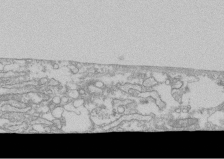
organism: Human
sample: CRL-1474